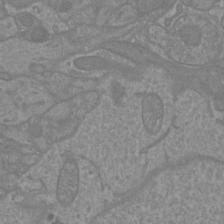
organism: Mouse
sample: Cortical neurons